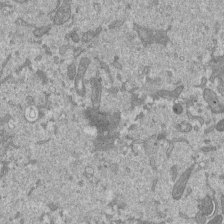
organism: Mouse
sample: ED-1 cell nuclei; centrioles